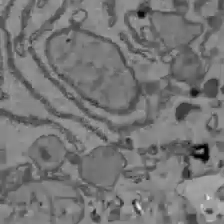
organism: C57BL Mouse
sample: Liver